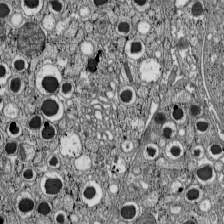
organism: C57BL Mouse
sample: Pancreatic islet